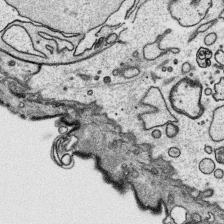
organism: Platynereis dumerilii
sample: Parapodia